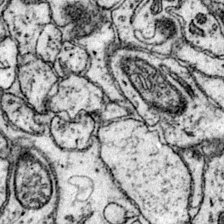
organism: Mouse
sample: Primary visual cortex